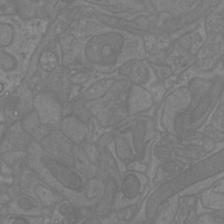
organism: Mouse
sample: Cortical neurons